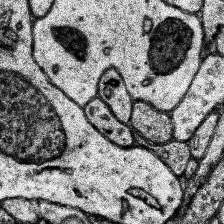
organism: Human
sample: Temporal Lobe